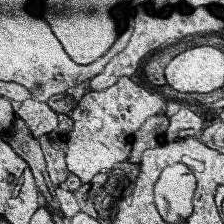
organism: Human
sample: Temporal Lobe